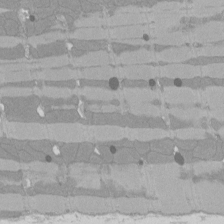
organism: Rat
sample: Left ventricle